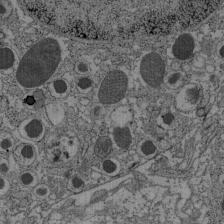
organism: C57BL Mouse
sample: Pancreatic islet